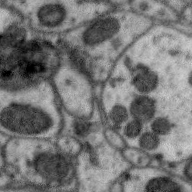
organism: Zebra finch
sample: Brain